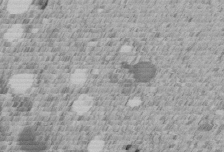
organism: C. elegans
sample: C. elegans embryo early stage